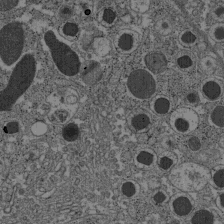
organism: C57BL Mouse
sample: Pancreatic islet